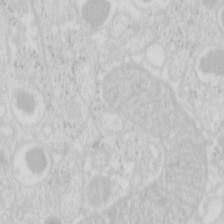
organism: Mouse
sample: Pancreas